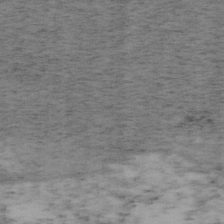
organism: Mouse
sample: OT-I killer T cells with ID8 ovarian cancer cells